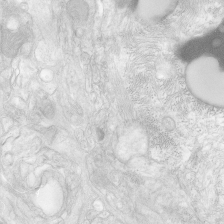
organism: Human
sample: Neocortex